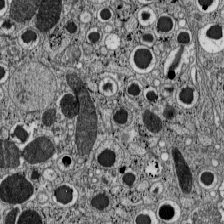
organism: C57BL Mouse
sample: Pancreatic islet